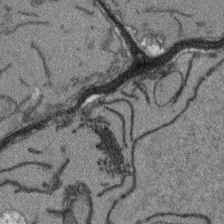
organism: Arabidopsis thaliana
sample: Root tip